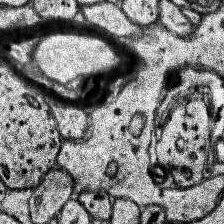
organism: Human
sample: Temporal Lobe